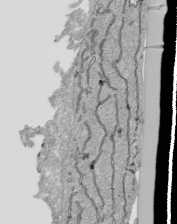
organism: Human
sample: Mitochondria in HCT116 cells